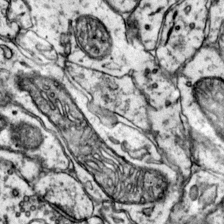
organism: Mouse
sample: Primary visual cortex